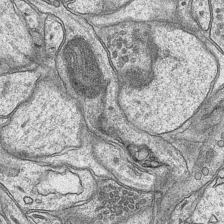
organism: Mouse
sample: CA1 Hippocampus